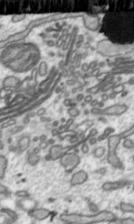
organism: Toxoplasma gondii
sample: Parasites in a vacuole inside a host cell